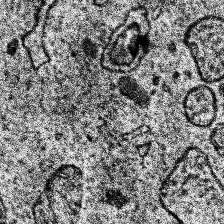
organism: Human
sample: Temporal Lobe